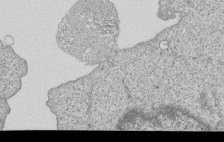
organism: Human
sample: MDA-MB-231 cells